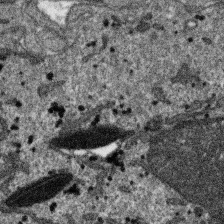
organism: Human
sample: Lung epithelial cells infected with SARS-CoV-2